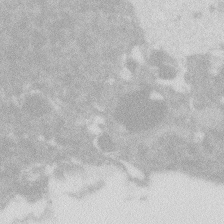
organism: Zebrafish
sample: Macrophage